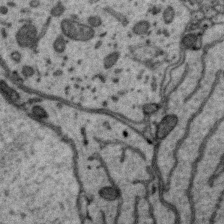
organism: Zebra finch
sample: Brain